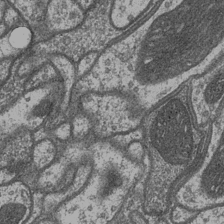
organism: Drosophila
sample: Optic medulla